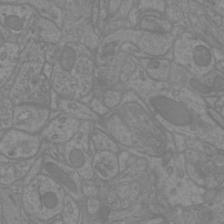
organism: Mouse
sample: Cortical neurons